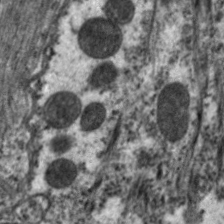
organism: C. elegans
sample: Pharynx